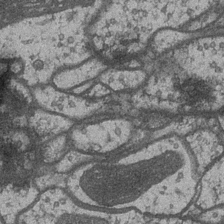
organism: Drosophila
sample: Optic medulla